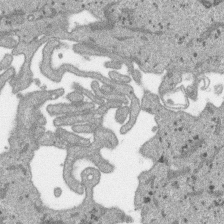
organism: Human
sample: Lung epithelial cells infected with SARS-CoV-2